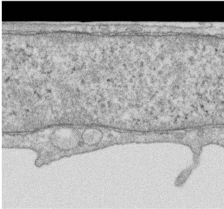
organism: Human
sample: Centriole in RPE cells